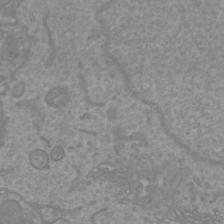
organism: Mouse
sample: Cortical neurons